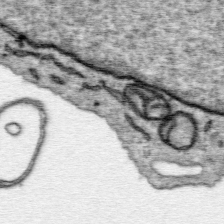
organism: Human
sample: HeLa cells